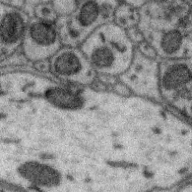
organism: Zebra finch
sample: Brain